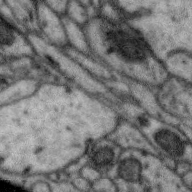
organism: Zebra finch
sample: Brain